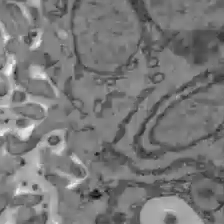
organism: C57BL Mouse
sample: Liver